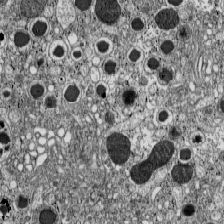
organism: C57BL Mouse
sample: Pancreatic islet